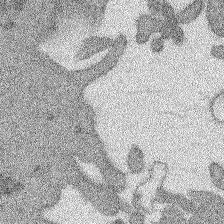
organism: Human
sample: HeLa cells